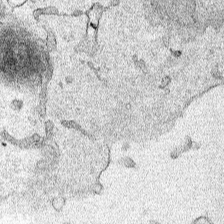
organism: Human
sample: Mitochondria in HCT116 cells